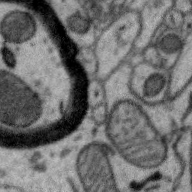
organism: Zebra finch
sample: Brain